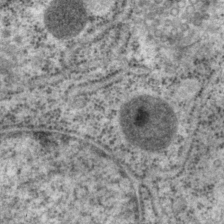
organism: P. pacificus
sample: Pharynx